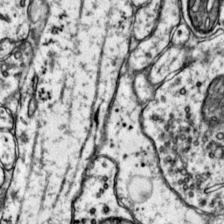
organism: Mouse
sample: Primary visual cortex